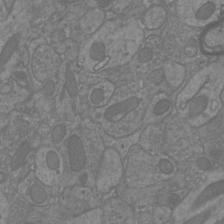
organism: Mouse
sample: Cortical neurons